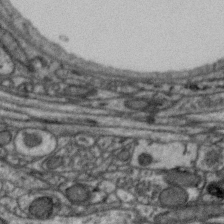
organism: Zebra finch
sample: Brain